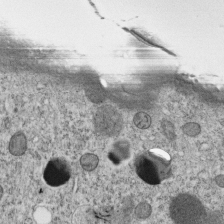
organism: C. elegans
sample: C. elegans embryo early stage